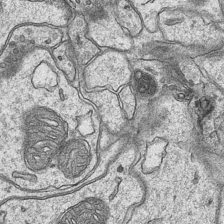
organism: Mouse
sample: CA1 Hippocampus